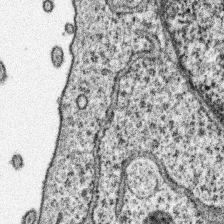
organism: Human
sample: HeLa cells